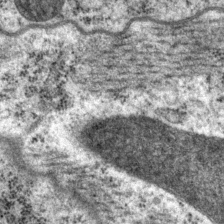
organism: P. pacificus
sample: Pharynx